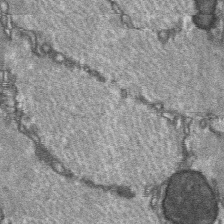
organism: C57BL Mouse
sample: Soleus